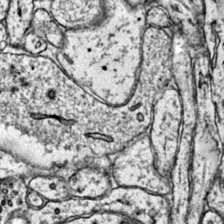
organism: Mouse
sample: Primary visual cortex